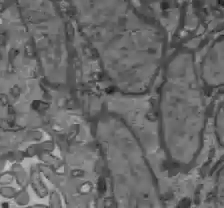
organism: C57BL Mouse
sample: Liver